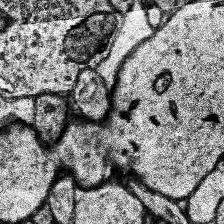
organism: Human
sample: Temporal Lobe